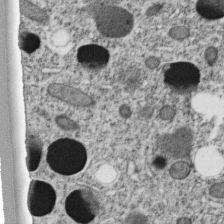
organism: C. elegans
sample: C. elegans embryo early stage